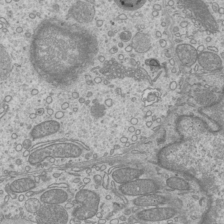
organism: Mouse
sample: Cilia; mouse epididymis